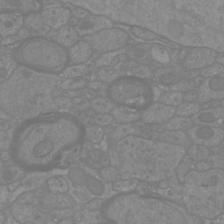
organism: Mouse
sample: Cortical neurons